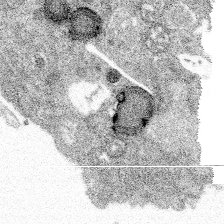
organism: Spongilla lacustris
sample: Multiple